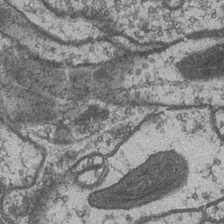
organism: Drosophila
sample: Optic medulla